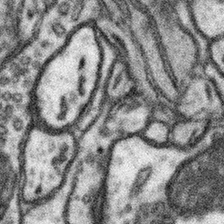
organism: Mouse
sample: Somatosensory cortex neuropil